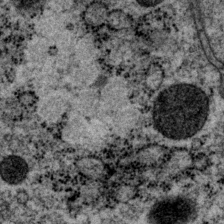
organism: P. pacificus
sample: Pharynx